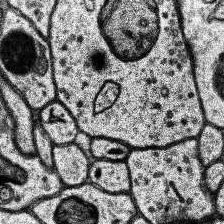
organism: Human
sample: Temporal Lobe